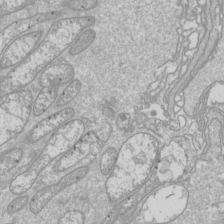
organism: Drosophila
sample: Cell division; meiosis; drosophila spermatocytes